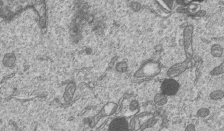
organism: Human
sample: MDA-MB-231 cells